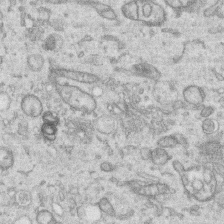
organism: Human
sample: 1205lu cells